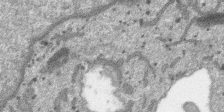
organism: Human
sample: Lung epithelial cells infected with SARS-CoV-2